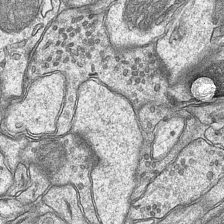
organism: Mouse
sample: CA1 Hippocampus